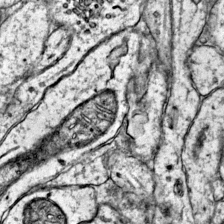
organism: Mouse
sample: Primary visual cortex